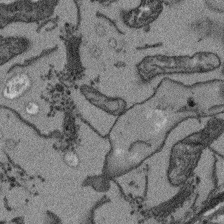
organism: Arabidopsis thaliana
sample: Root tip